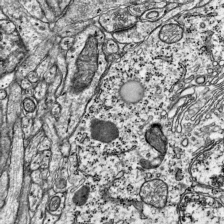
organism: Mouse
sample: Visual Cortex